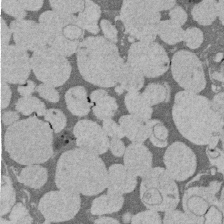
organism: Rat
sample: Salivary granule